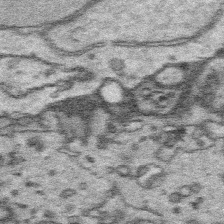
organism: Platynereis dumerilii